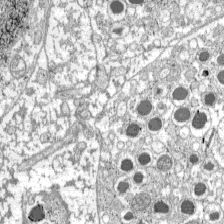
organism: C57BL Mouse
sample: Pancreatic islet